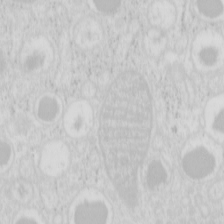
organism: Mouse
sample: Pancreas